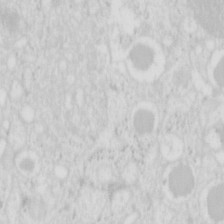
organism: Mouse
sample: Pancreas